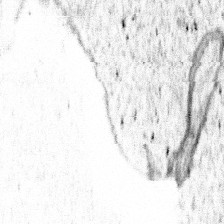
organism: Human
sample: HeLa cells